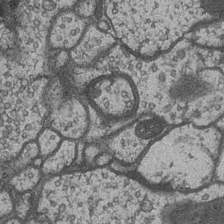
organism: Drosophila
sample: Optic medulla